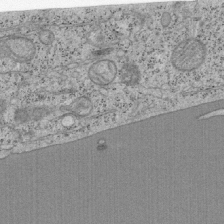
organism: Human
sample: HeLa cells